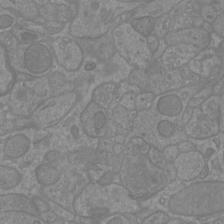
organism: Mouse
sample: Cortical neurons